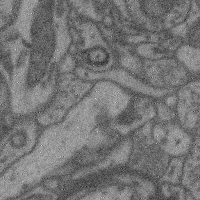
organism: Mouse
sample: Cerebral cortex